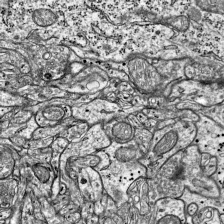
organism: Mouse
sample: Visual Cortex